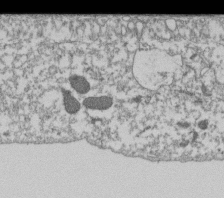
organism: Dictyostelium discoideum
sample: Dictyostelium multivesicular bodies